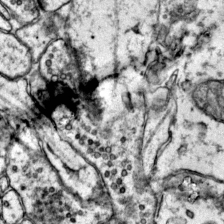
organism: Mouse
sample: Primary visual cortex